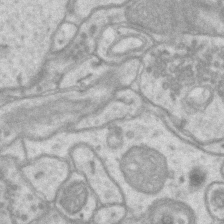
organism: Mouse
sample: CA1 Hippocampus